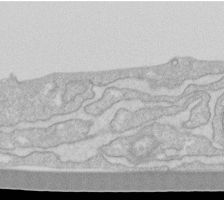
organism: Human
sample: Fibroblast cells